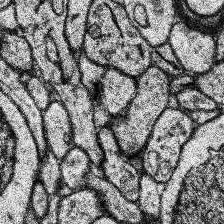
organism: Human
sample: Temporal Lobe